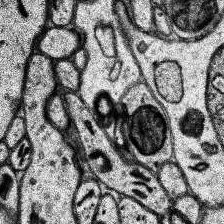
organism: Human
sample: Temporal Lobe